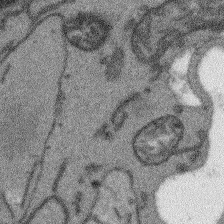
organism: Arabidopsis thaliana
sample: Root tip